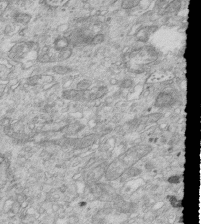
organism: Mouse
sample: Multiciliated cells